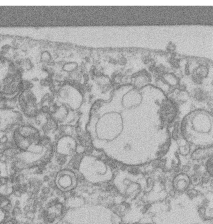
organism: Mouse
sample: T cell stromal cell synapse